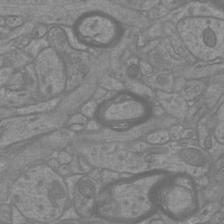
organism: Mouse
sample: Cortical neurons